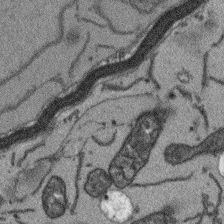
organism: Arabidopsis thaliana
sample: Root tip